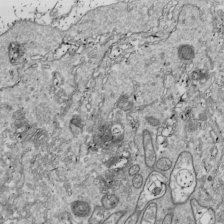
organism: Drosophila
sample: Cell division; meiosis; drosophila spermatocytes